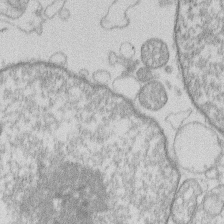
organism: Human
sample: Macrophage cells